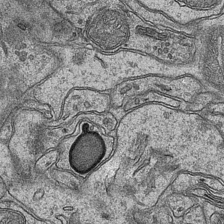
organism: Mouse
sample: CA1 Hippocampus